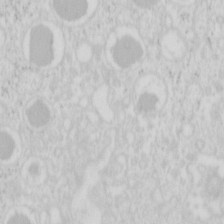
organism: Mouse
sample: Pancreas